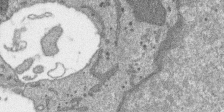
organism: Human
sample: Lung epithelial cells infected with SARS-CoV-2